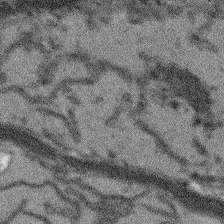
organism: Arabidopsis thaliana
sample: Root tip